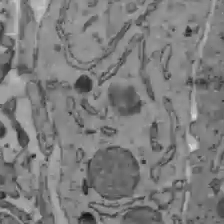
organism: C57BL Mouse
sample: Liver